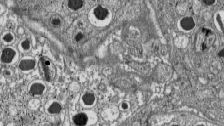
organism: C57BL Mouse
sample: Pancreatic islet